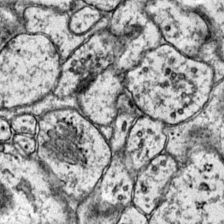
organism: Mouse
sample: Primary visual cortex